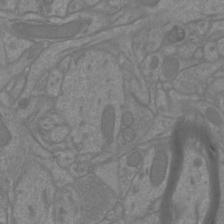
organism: Mouse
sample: Cortical neurons